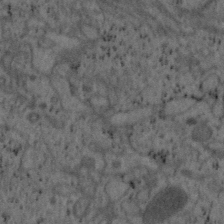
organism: Human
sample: HeLa cells